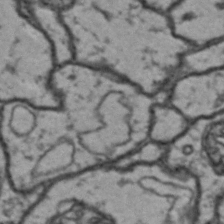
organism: Drosophila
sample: Brain